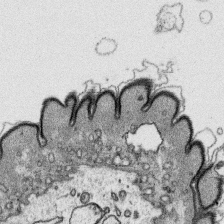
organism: Platynereis dumerilii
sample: Parapodia